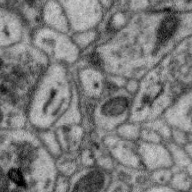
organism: Zebra finch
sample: Brain